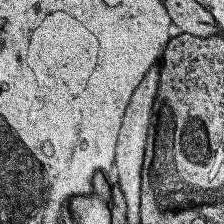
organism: Human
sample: Temporal Lobe